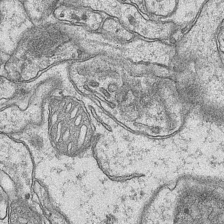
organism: Mouse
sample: CA1 Hippocampus